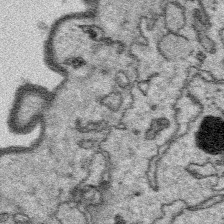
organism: Platynereis dumerilii